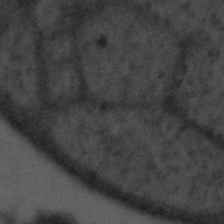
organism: Tuwongella immobilis